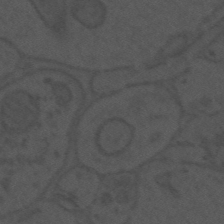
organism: Mouse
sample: Suprachiasmatic nucleus